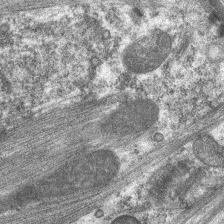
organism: C. elegans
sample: Pharynx